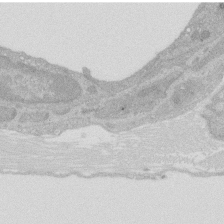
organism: Rat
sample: Salivary granule